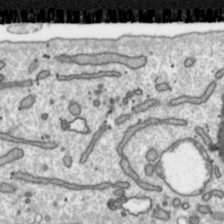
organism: Toxoplasma gondii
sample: Parasites in a vacuole inside a host cell